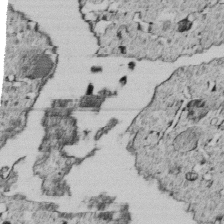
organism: C. elegans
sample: C. elegans embryo early stage